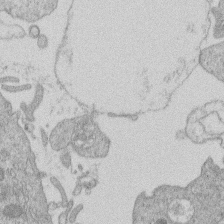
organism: Human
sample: Macrophage cells